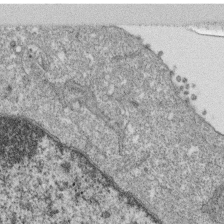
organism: African green monkey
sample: Vero E6 cells infected with SARS-CoV-2